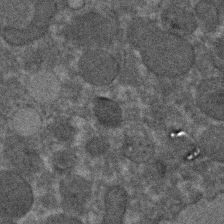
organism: C. elegans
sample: C. elegans embryo